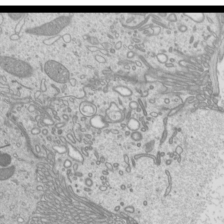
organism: Mouse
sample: Cilia; mouse epididymis